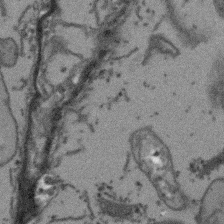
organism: Arabidopsis thaliana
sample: Root tip